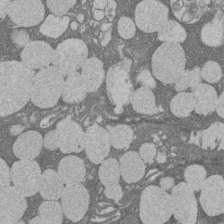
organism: Rat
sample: Salivary granule